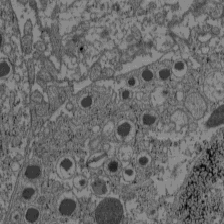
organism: C57BL Mouse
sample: Pancreatic islet